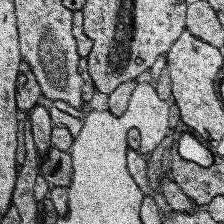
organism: Human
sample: Temporal Lobe